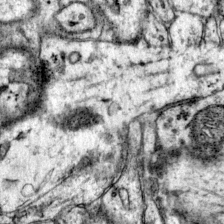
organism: Mouse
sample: Primary visual cortex